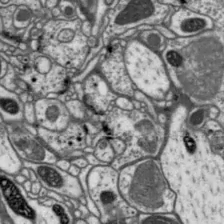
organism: Drosophila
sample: Protocerebral bridge